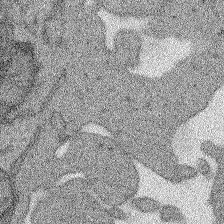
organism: Human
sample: HeLa cells